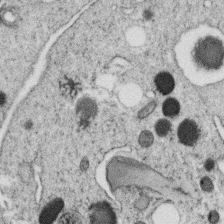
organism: C. elegans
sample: C. elegans oocyte; sperm cells